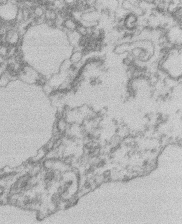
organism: Mouse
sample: T cell stromal cell synapse